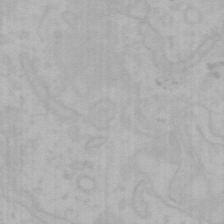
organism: Mouse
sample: Choroid plexus